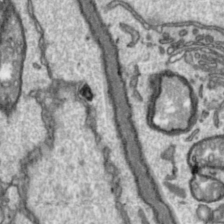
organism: Toxoplasma gondii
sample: Parasites in a vacuole inside a host cell